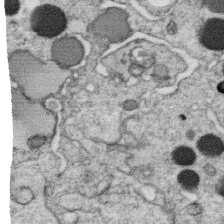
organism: C. elegans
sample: C. elegans oocyte; sperm cells